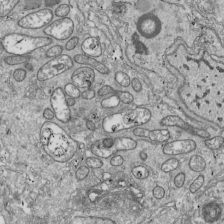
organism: Drosophila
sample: Cell division; meiosis; drosophila spermatocytes